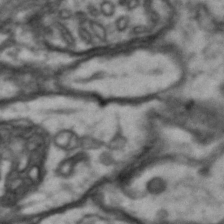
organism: Drosophila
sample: Brain